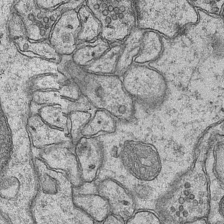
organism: Mouse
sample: CA1 Hippocampus